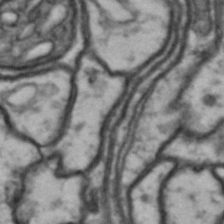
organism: Drosophila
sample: Brain